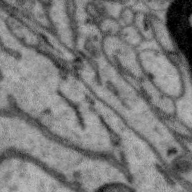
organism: Zebra finch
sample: Brain